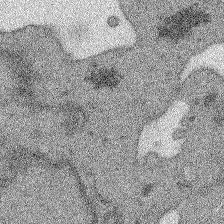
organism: Human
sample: HeLa cells